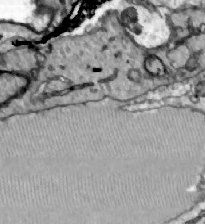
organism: Zebrafish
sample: Actinotrichia fibers